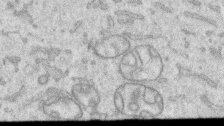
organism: Human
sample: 1205lu cells